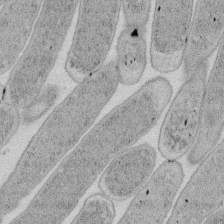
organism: E. coli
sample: Bacterial nucleoid